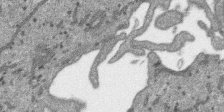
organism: Human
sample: Lung epithelial cells infected with SARS-CoV-2